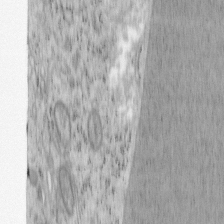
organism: Human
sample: HeLa cells